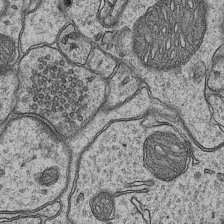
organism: Mouse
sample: CA1 Hippocampus